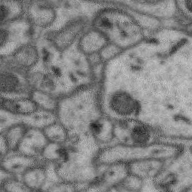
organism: Zebra finch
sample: Brain